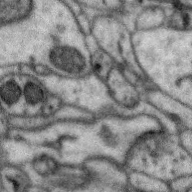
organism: Zebra finch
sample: Brain